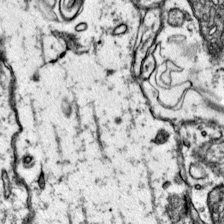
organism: Mouse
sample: Primary visual cortex